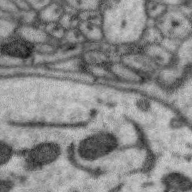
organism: Zebra finch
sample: Brain